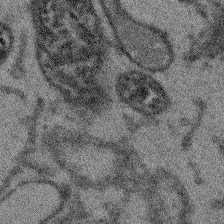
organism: Arabidopsis thaliana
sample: Root tip